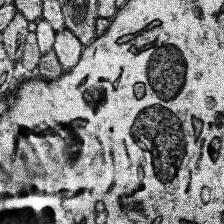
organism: Human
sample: Temporal Lobe